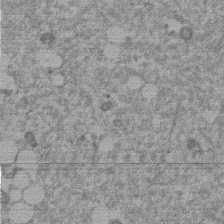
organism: Mouse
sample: Dividing mouse embryo 1 cell stage